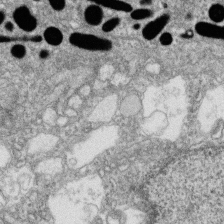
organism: Zebrafish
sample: Cilia; retinal pigment epithelium